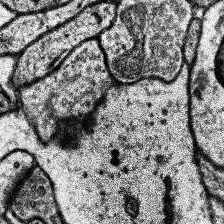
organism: Human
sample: Temporal Lobe